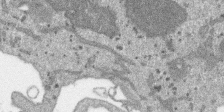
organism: Human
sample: Lung epithelial cells infected with SARS-CoV-2